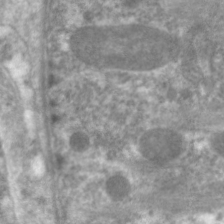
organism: C. elegans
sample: Pharynx